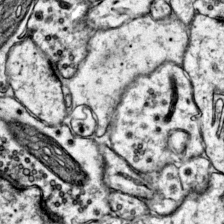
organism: Mouse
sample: Primary visual cortex